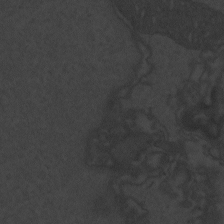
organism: Zebrafish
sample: Macrophage infected with Toxoplasma gondii